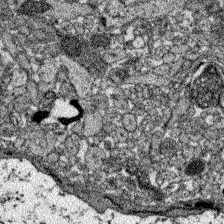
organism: Zebrafish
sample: Larval olfactory bulb